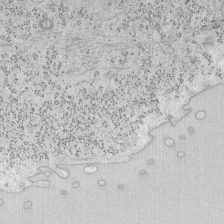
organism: Mouse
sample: OT-I killer T cells with ID8 ovarian cancer cells